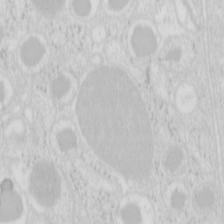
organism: Mouse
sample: Pancreas